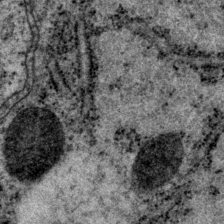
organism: P. pacificus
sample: Pharynx